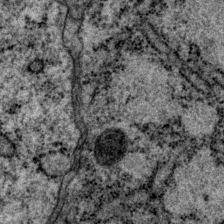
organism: P. pacificus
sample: Pharynx